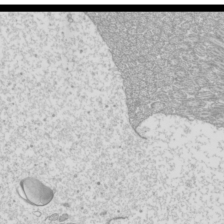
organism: Mouse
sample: Cilia; mouse epididymis